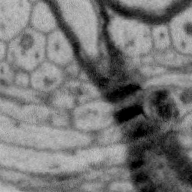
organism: Zebra finch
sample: Brain